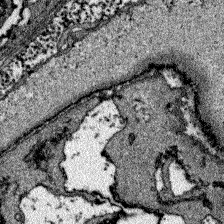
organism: Zebrafish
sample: Larval olfactory bulb